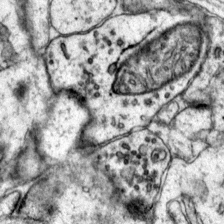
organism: Mouse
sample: Primary visual cortex